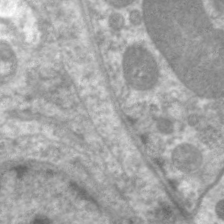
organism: C. elegans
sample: Pharynx